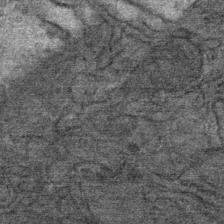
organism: Mouse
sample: Mouse Salivary gland